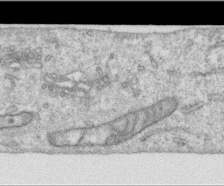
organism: Human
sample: Centriole in RPE cells